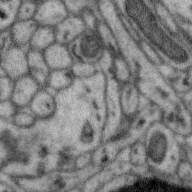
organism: Zebra finch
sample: Brain